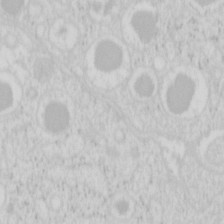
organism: Mouse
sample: Pancreas